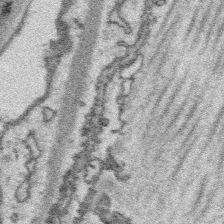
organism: Platynereis dumerilii